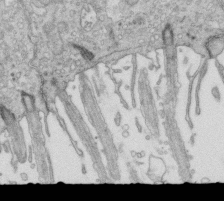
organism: Mouse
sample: Multiciliated cells